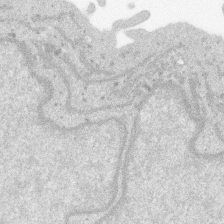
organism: Human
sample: Lung epithelial cells infected with SARS-CoV-2